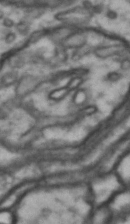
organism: Drosophila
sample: Brain